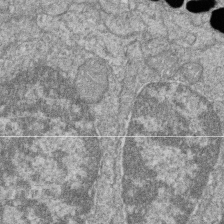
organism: Zebrafish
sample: Cilia; retinal pigment epithelium